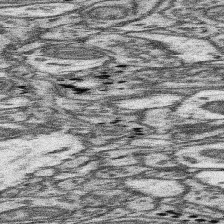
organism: Mouse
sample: Somatosensory cortex neuropil